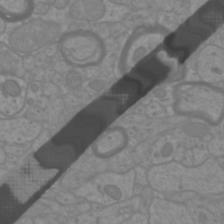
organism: Mouse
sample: Cortical neurons